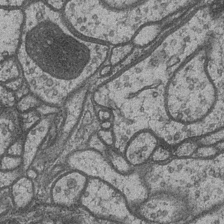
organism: Drosophila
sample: Optic medulla